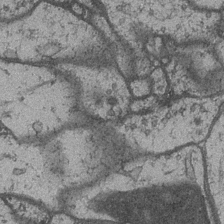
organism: Drosophila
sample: Optic medulla